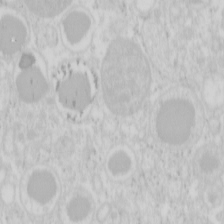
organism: Mouse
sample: Pancreas